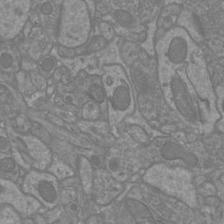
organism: Mouse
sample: Cortical neurons